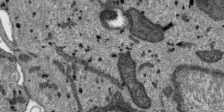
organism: Human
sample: Lung epithelial cells, uninfected (mock) control